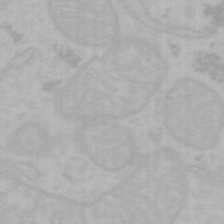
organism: Mouse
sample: Choroid plexus